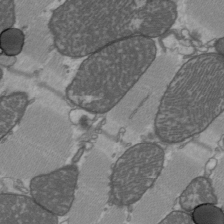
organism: C57BL Mouse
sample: Heart